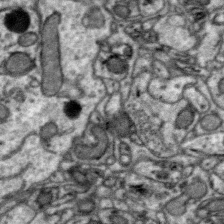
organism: Zebra finch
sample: Brain